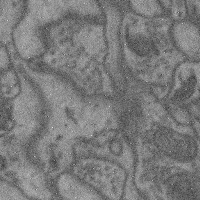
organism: Mouse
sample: Cerebral cortex